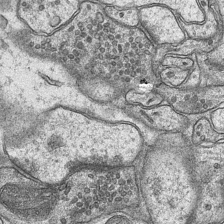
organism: Mouse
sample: CA1 Hippocampus